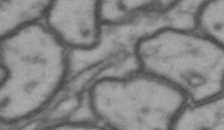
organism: Drosophila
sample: Brain